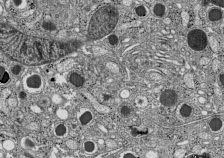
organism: C57BL Mouse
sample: Pancreatic islet